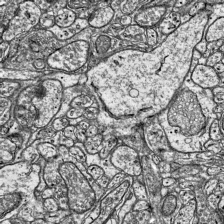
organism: Mouse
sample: Visual Cortex